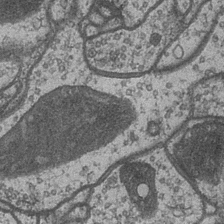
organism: Drosophila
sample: Optic medulla